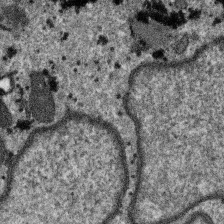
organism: Human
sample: Lung epithelial cells infected with SARS-CoV-2